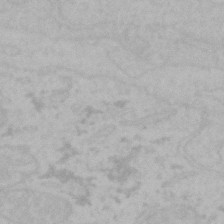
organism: Mouse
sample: Choroid plexus